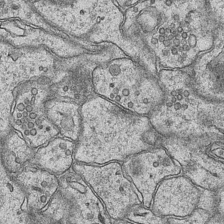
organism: Mouse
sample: CA1 Hippocampus